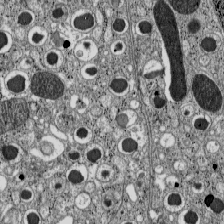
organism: C57BL Mouse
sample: Pancreatic islet